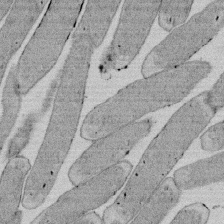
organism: E. coli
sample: Bacterial nucleoid